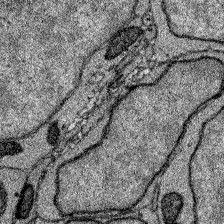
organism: Zebrafish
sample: Larval olfactory bulb